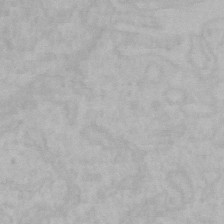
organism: Mouse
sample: Choroid plexus